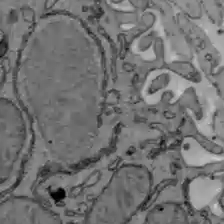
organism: C57BL Mouse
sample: Liver